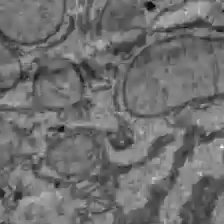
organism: C57BL Mouse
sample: Liver